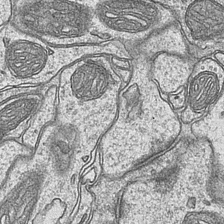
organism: Mouse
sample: CA1 Hippocampus